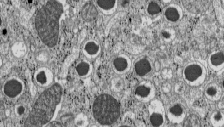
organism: C57BL Mouse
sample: Pancreatic islet